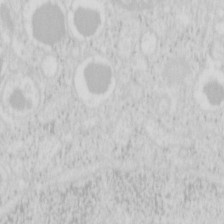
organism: Mouse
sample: Pancreas